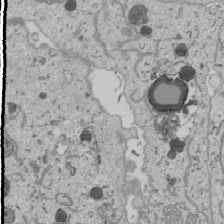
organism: Human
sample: Mitochondria in U2OS cells